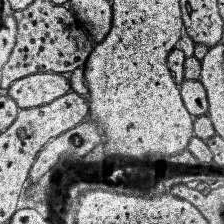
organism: Human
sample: Temporal Lobe